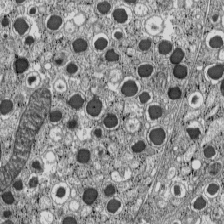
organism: C57BL Mouse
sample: Pancreatic islet